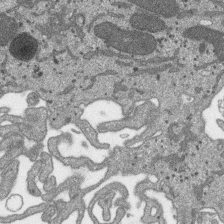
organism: Human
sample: Lung epithelial cells infected with SARS-CoV-2